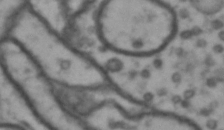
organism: Drosophila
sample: Brain